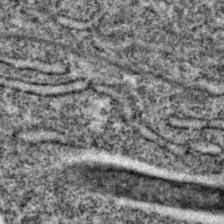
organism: C. elegans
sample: C. elegans embryo